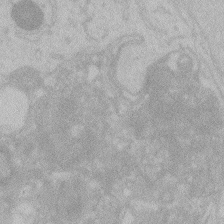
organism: Zebrafish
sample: Macrophage infected with Toxoplasma gondii